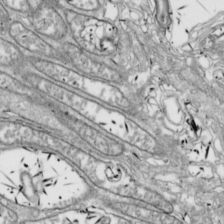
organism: Drosophila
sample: Cell division; meiosis; drosophila spermatocytes